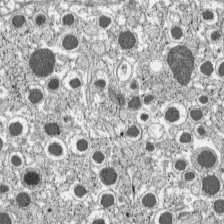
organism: C57BL Mouse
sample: Pancreatic islet